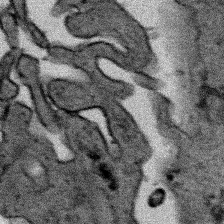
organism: Human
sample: Mitochondria in HCT116 cells